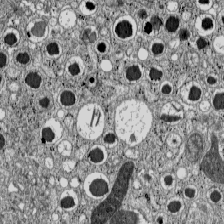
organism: C57BL Mouse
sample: Pancreatic islet